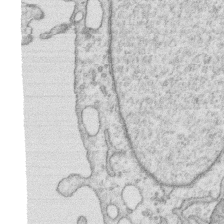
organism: Human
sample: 1205lu cells